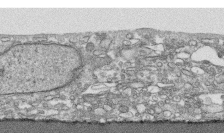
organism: Human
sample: CRL-1474